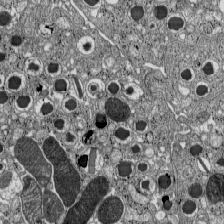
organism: C57BL Mouse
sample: Pancreatic islet